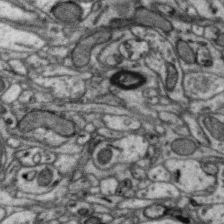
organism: Zebra finch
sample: Brain